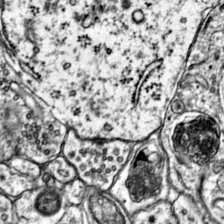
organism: Mouse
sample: Primary visual cortex